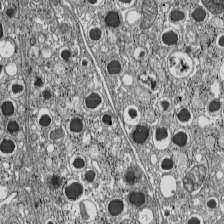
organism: C57BL Mouse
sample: Pancreatic islet